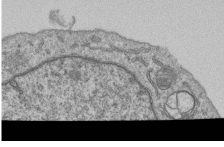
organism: Human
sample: MDA-MB-231 cells